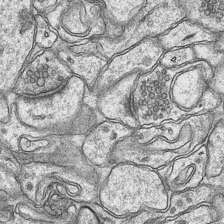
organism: Mouse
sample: CA1 Hippocampus